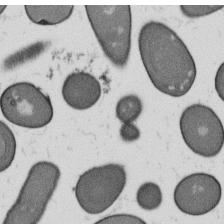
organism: B. subtilis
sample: Bacterial spore